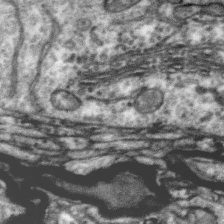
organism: Zebra finch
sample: Brain